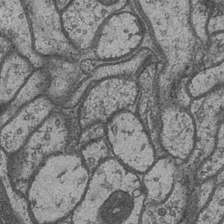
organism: Drosophila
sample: Optic medulla